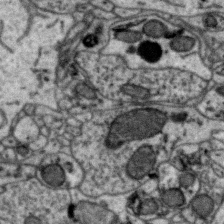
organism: Zebra finch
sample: Brain